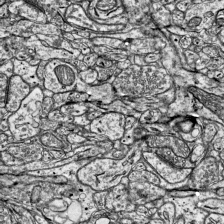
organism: Mouse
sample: Visual Cortex